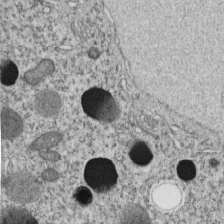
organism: C. elegans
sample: C. elegans embryo early stage